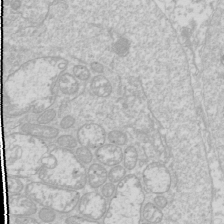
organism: Drosophila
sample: Cell division; meiosis; drosophila spermatocytes